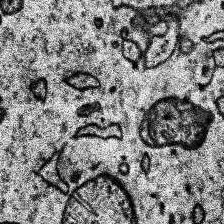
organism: Human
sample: Temporal Lobe